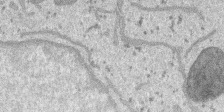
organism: Human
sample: Lung epithelial cells infected with SARS-CoV-2